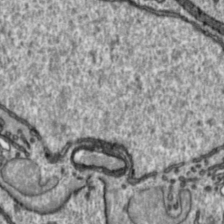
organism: Toxoplasma gondii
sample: Parasites in a vacuole inside a host cell